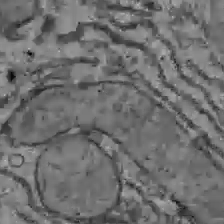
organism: C57BL Mouse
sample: Liver